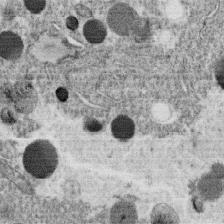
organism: C. elegans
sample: C. elegans oocyte; sperm cells